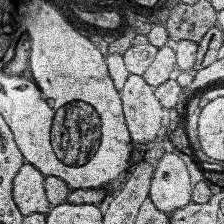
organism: Human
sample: Temporal Lobe